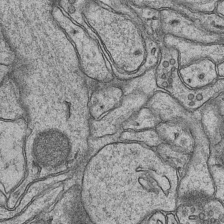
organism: Mouse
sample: CA1 Hippocampus